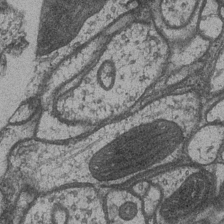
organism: Drosophila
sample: Optic medulla